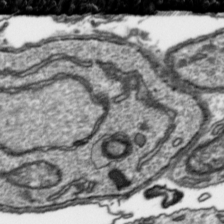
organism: Toxoplasma gondii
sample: Parasites in a vacuole inside a host cell